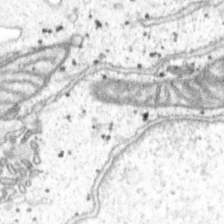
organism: Human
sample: HeLa cells